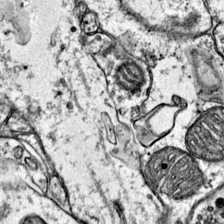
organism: Mouse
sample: Primary visual cortex